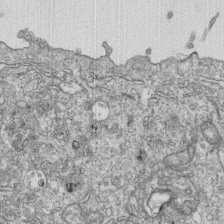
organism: Human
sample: HeLa cell HIV synapse